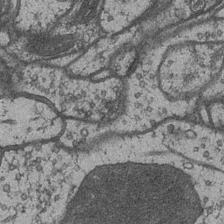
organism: Drosophila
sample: Optic medulla